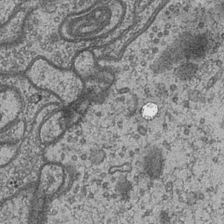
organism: Drosophila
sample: Optic medulla